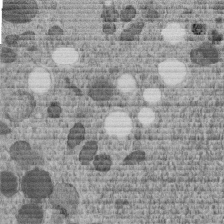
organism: C. elegans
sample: C. elegans embryo early stage